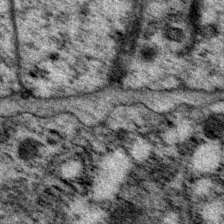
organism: P. pacificus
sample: Pharynx